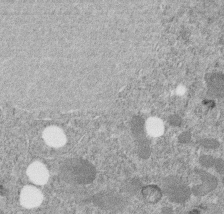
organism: C. elegans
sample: C. elegans embryo early stage